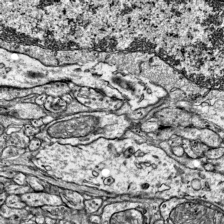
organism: Mouse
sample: Visual Cortex